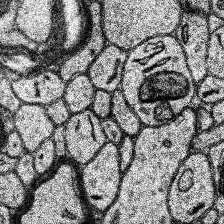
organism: Human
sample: Temporal Lobe